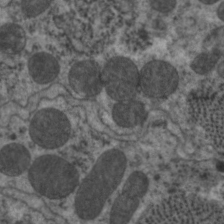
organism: C. elegans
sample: Pharynx